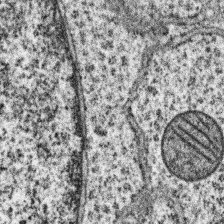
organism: Human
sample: HeLa cells